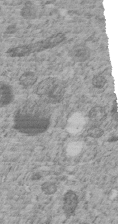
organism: C. elegans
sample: C. elegans embryo early stage